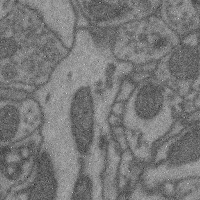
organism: Mouse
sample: Cerebral cortex